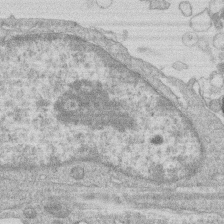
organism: Human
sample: Macrophage cells